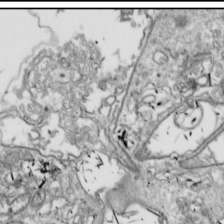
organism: Drosophila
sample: Cell division; meiosis; drosophila spermatocytes